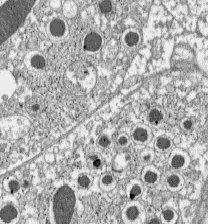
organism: C57BL Mouse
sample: Pancreatic islet